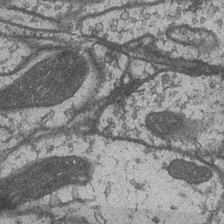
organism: Drosophila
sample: Optic medulla